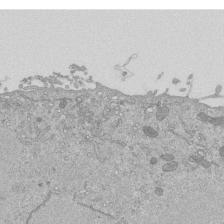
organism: Mouse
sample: ED-1 cell nuclei; centrioles